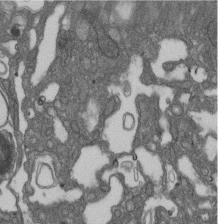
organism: Drosophila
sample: Nephrocyte